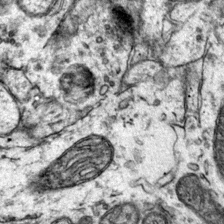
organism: Mouse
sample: Primary visual cortex